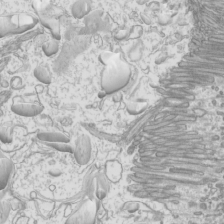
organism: Mouse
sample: Cilia; mouse epididymis